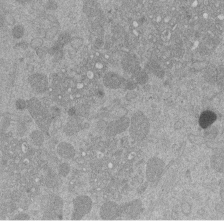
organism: Mouse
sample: Dividing mouse embryo 1 cell stage